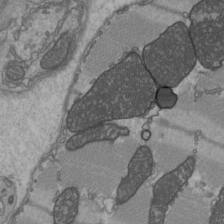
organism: C57BL Mouse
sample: Heart